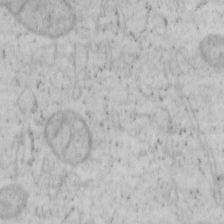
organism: Human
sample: HeLa cells